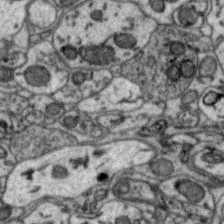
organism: Zebra finch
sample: Brain